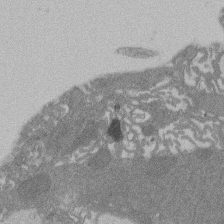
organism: Rat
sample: Salivary granule